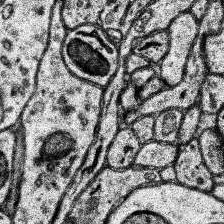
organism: Human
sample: Temporal Lobe